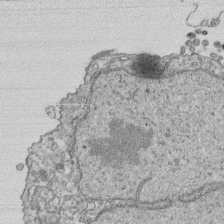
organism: Human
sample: HeLa cell HIV synapse